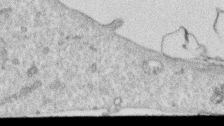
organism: Human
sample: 1205lu cells